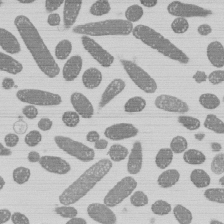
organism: E. coli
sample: Bacterial nucleoid